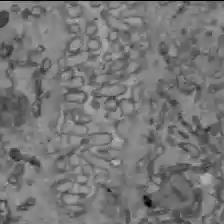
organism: C57BL Mouse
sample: Liver